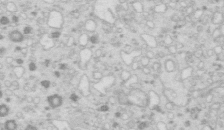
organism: Mouse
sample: Multiciliated cells